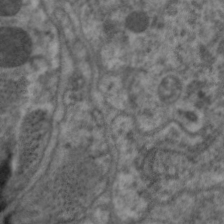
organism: C. elegans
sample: Pharynx